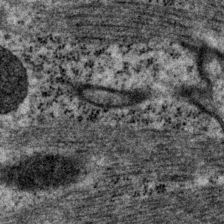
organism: P. pacificus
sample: Pharynx